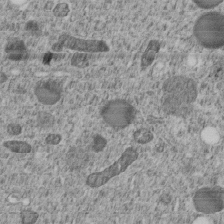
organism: C. elegans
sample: C. elegans embryo early stage